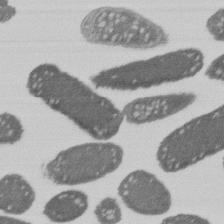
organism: E. coli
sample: Bacterial nucleoid